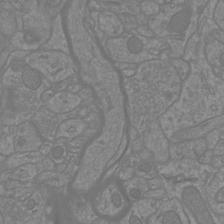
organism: Mouse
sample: Cortical neurons